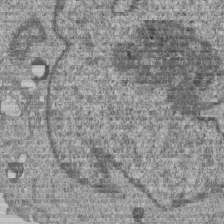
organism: Human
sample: MDA-MB-231 cells